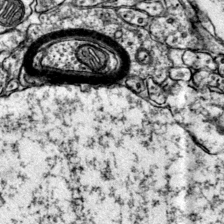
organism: Mouse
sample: Primary visual cortex